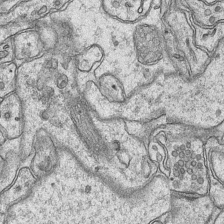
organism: Mouse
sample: CA1 Hippocampus